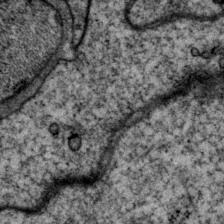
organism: P. pacificus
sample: Pharynx